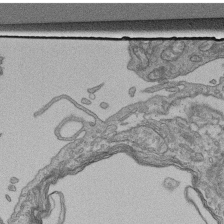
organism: Human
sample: Retinal organoid Rod and Cone cells